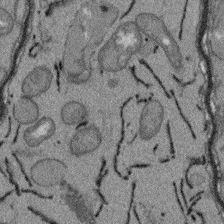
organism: Arabidopsis thaliana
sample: Root tip